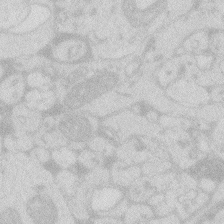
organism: Zebrafish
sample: Macrophage